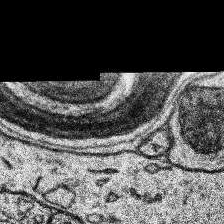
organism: Human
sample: Temporal Lobe